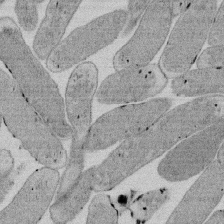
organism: E. coli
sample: Bacterial nucleoid